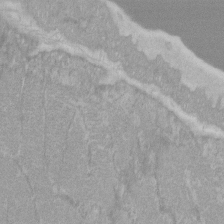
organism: C57BL Mouse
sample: Tibialis anterior muscle cell